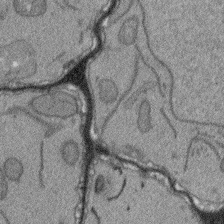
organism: Arabidopsis thaliana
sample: Root tip